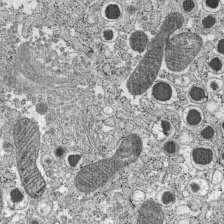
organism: C57BL Mouse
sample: Pancreatic islet